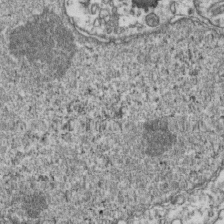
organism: Human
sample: Activated Jurkat CD4+ T cells